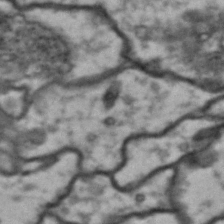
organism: Drosophila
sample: Brain